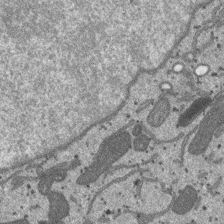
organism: Human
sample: Lung epithelial cells infected with SARS-CoV-2